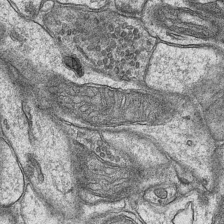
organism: Mouse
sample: CA1 Hippocampus